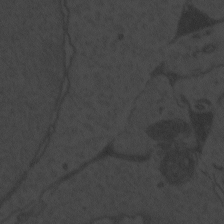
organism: Zebrafish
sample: Macrophage infected with Toxoplasma gondii